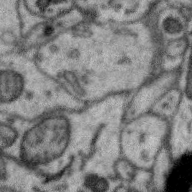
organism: Zebra finch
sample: Brain